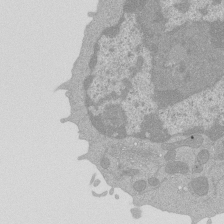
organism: Mouse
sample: Activated Pmel transgenic CD8+ T Cells